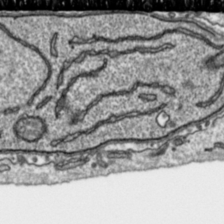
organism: Toxoplasma gondii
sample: Parasites in a vacuole inside a host cell